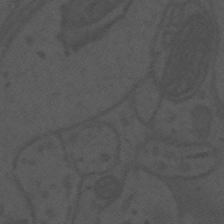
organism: Mouse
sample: Suprachiasmatic nucleus